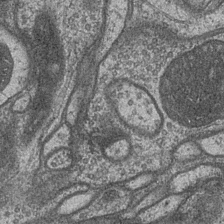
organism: Drosophila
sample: Optic medulla